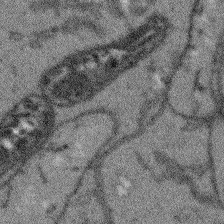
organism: Arabidopsis thaliana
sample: Root tip